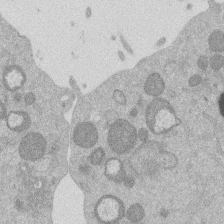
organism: Mouse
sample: Dividing mouse embryo 1 cell stage